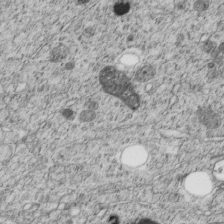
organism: C. elegans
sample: C. elegans embryo early stage